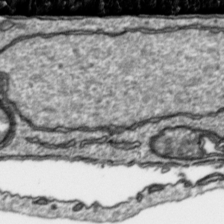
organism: Toxoplasma gondii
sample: Parasites in a vacuole inside a host cell